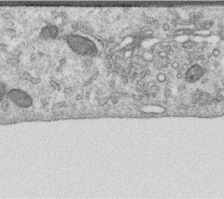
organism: Human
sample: Centriole in RPE cells